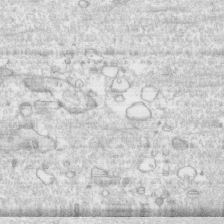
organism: Human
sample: CRL-1474